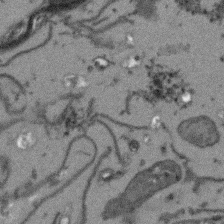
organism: Arabidopsis thaliana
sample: Root tip